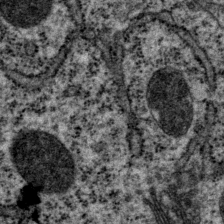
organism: P. pacificus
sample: Pharynx